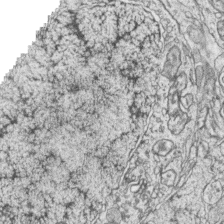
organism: Zebrafish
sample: synaptic ribbons in rod cells and cone cells